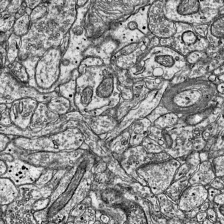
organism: Mouse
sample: Visual Cortex